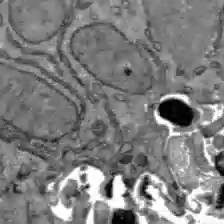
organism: C57BL Mouse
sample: Liver